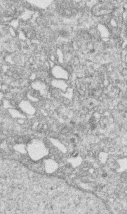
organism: Human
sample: HeLa cell HIV synapse